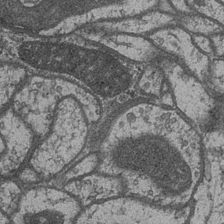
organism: Drosophila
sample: Optic medulla